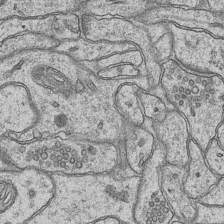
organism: Mouse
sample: CA1 Hippocampus